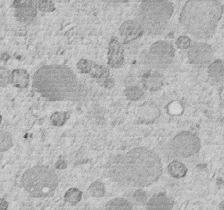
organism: C. elegans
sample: C. elegans embryo early stage